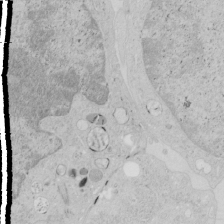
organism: Human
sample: Mitochondria in HCT116 cells